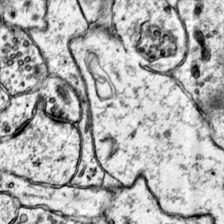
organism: Mouse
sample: Primary visual cortex